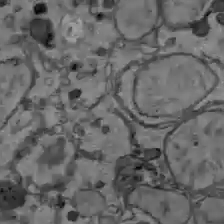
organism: C57BL Mouse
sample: Liver